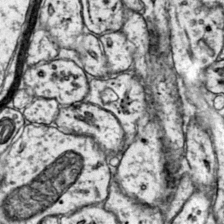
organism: Mouse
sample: Primary visual cortex